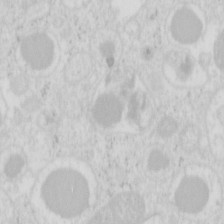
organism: Mouse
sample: Pancreas